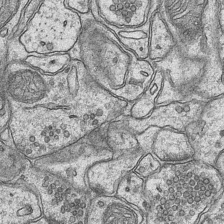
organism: Mouse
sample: CA1 Hippocampus